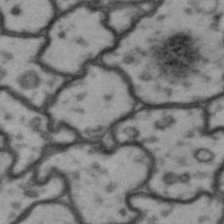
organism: Drosophila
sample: Brain